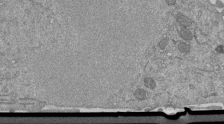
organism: Mouse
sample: ED-1 cell nuclei; centrioles